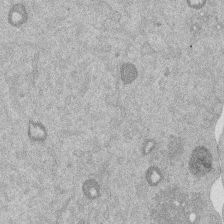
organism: Mouse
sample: Dividing mouse embryo 1 cell stage